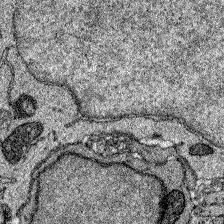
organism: Zebrafish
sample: Larval olfactory bulb